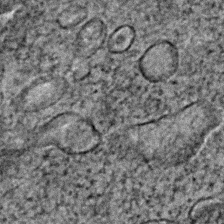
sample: Trachea